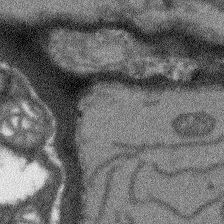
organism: Arabidopsis thaliana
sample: Root tip